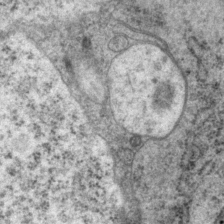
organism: P. pacificus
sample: Pharynx